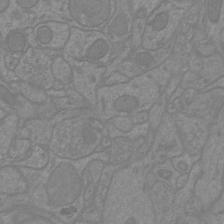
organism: Mouse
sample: Cortical neurons